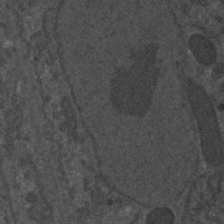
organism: C. elegans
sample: C. elegans embryo